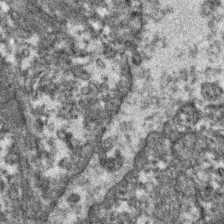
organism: Zebrafish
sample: Zebrafish embryo